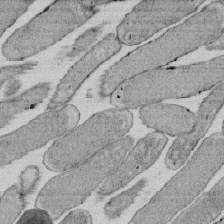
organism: E. coli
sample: Bacterial nucleoid